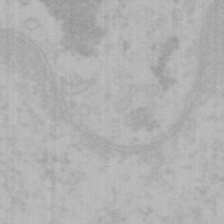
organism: Mouse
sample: Choroid plexus